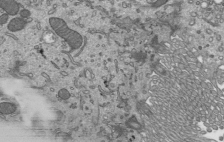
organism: Mouse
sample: Mouse epididymis efferent ductule cilia